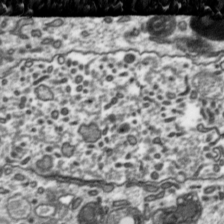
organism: Toxoplasma gondii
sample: Parasites in a vacuole inside a host cell